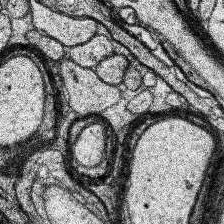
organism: Human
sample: Temporal Lobe